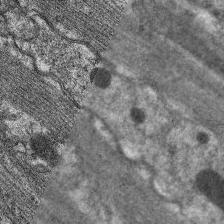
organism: C. elegans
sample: Pharynx